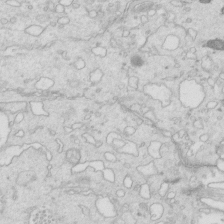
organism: Mouse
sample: Multiciliated cells